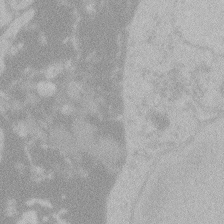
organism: Zebrafish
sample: Macrophage infected with Toxoplasma gondii